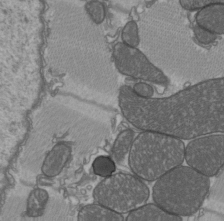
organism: C57BL Mouse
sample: Heart